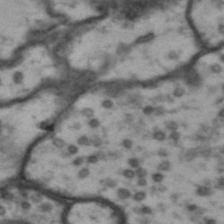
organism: Drosophila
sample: Brain